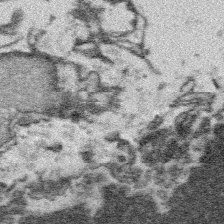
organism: Platynereis dumerilii